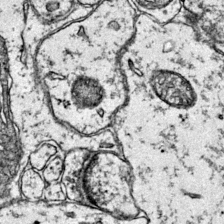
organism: Mouse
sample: Primary visual cortex